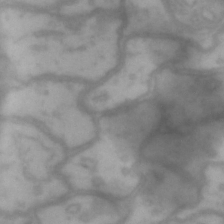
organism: Drosophila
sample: Brain